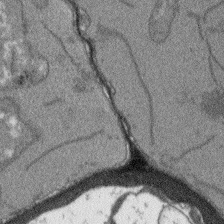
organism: Arabidopsis thaliana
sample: Root tip